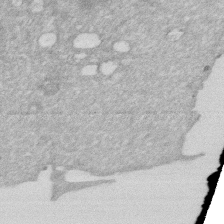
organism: Human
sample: HIV infected U937 cells